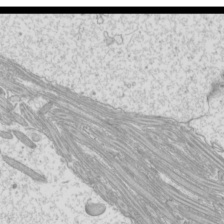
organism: Mouse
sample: Cilia; mouse epididymis